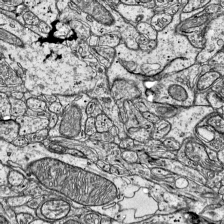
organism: Mouse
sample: Visual Cortex